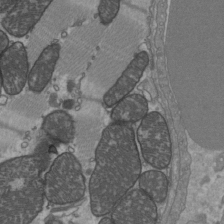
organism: C57BL Mouse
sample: Heart